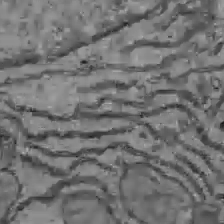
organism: C57BL Mouse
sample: Liver